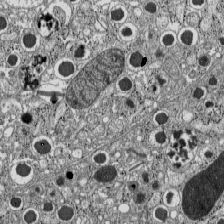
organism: C57BL Mouse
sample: Pancreatic islet